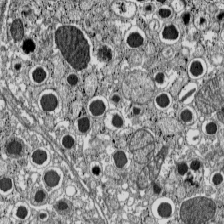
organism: C57BL Mouse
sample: Pancreatic islet